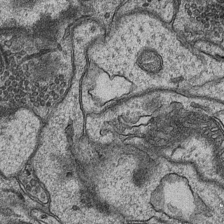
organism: Mouse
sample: CA1 Hippocampus